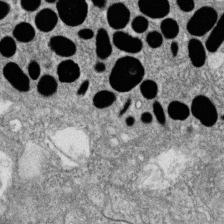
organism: Zebrafish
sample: Cilia; retinal pigment epithelium